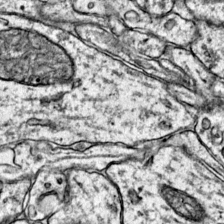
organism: Mouse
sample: Primary visual cortex